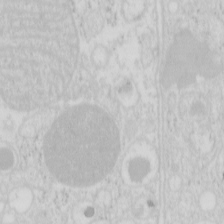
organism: Mouse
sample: Pancreas